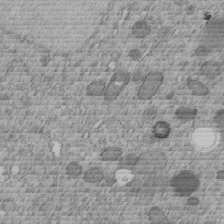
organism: C. elegans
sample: C. elegans embryo early stage